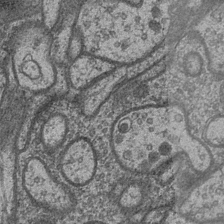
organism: Drosophila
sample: Optic medulla